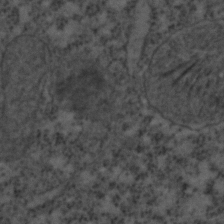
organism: C. elegans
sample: C. elegans embryo